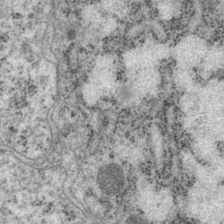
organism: P. pacificus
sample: Pharynx